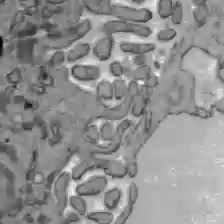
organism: C57BL Mouse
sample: Liver